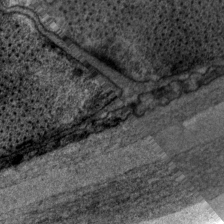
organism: P. pacificus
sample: Pharynx